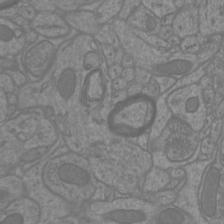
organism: Mouse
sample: Cortical neurons